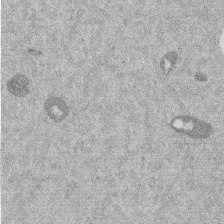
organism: Mouse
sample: Dividing mouse embryo 1 cell stage